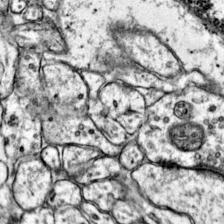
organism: Mouse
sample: Primary visual cortex